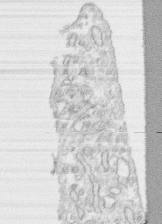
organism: Human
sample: CRL-1474